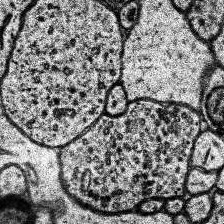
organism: Human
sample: Temporal Lobe